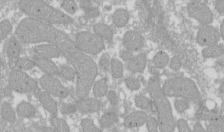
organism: Xenopus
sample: Cilia; centrioles in frog embryo cells